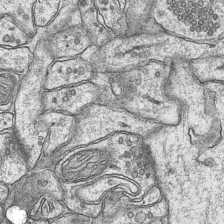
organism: Mouse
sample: CA1 Hippocampus